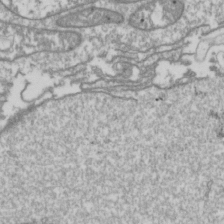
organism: Drosophila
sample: Cell division; meiosis; drosophila spermatocytes